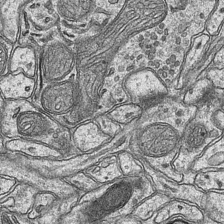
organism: Mouse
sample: CA1 Hippocampus